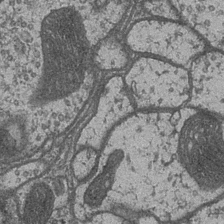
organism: Drosophila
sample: Optic medulla